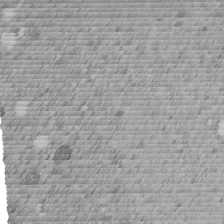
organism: C. elegans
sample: C. elegans embryo early stage